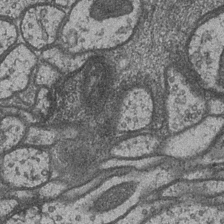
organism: Drosophila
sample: Optic medulla